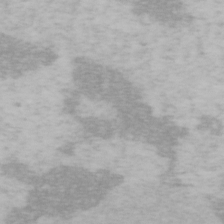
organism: Mouse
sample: OT-I killer T cells with ID8 ovarian cancer cells